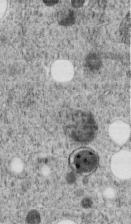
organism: C. elegans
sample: C. elegans embryo early stage